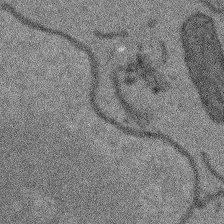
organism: Arabidopsis thaliana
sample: Root tip